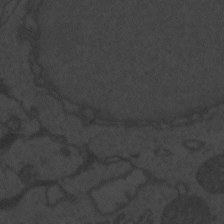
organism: Zebrafish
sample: Macrophage infected with Toxoplasma gondii